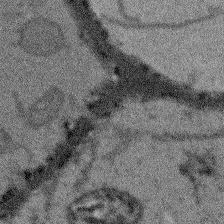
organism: Arabidopsis thaliana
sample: Root tip